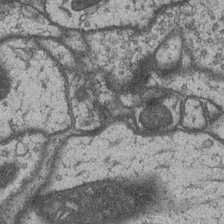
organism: Drosophila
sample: Optic medulla